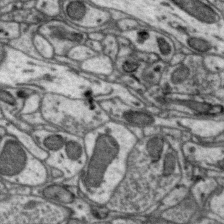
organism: Zebra finch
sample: Brain